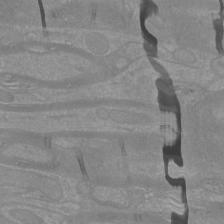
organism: Mouse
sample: Cortical neurons